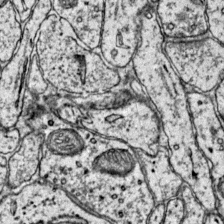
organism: Mouse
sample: Primary visual cortex